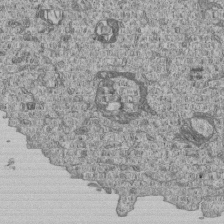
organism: Human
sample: MDA-MB-231 cells